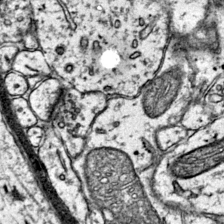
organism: Mouse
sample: Primary visual cortex